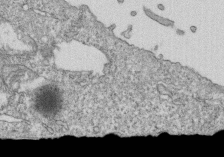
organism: Human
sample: HeLa cell HIV synapse